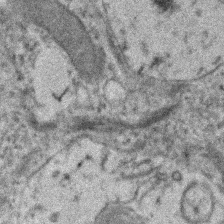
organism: Human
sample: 1205lu cells